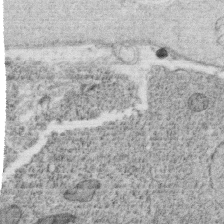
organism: C. elegans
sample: C. elegans oocyte; sperm cells